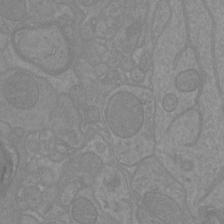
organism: Mouse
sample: Cortical neurons